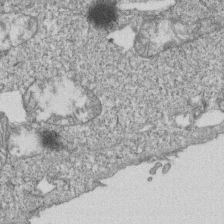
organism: Human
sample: HeLa cell HIV synapse